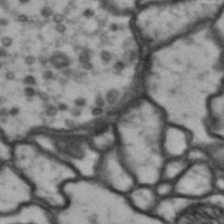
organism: Drosophila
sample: Brain